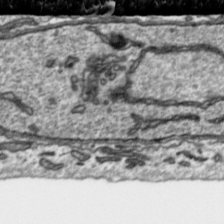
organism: Toxoplasma gondii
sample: Parasites in a vacuole inside a host cell